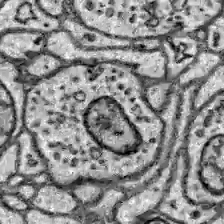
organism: Zebrafish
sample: Brain